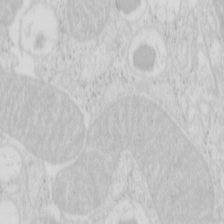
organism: Mouse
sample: Pancreas